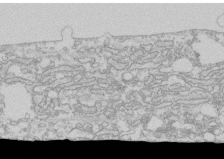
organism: Human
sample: CRL-1474